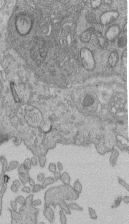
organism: Human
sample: Retinal organoid Rod and Cone cells